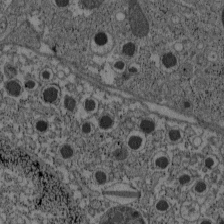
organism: C57BL Mouse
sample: Pancreatic islet